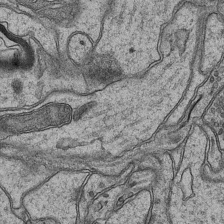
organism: Mouse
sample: CA1 Hippocampus